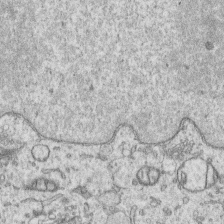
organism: Human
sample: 1205lu cells